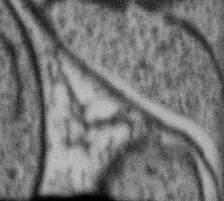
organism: Gemmata obscuriglobus